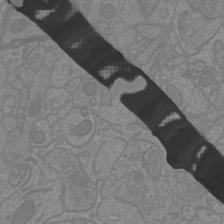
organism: Mouse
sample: Cortical neurons